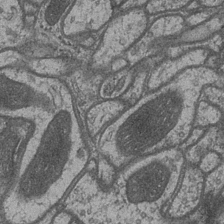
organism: Drosophila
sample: Optic medulla